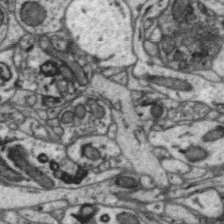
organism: Zebra finch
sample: Brain